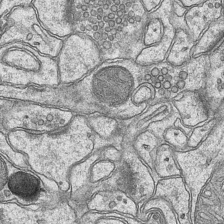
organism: Mouse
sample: CA1 Hippocampus